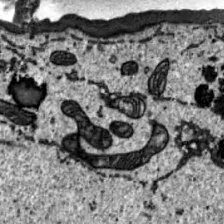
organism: Human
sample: HeLa cells